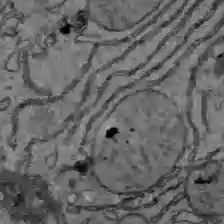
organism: C57BL Mouse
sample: Liver